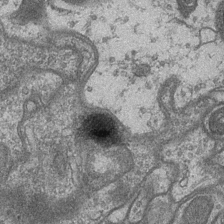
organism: Drosophila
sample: Optic medulla